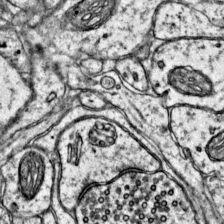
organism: Mouse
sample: Primary visual cortex